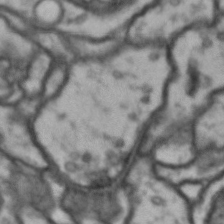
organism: Drosophila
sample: Brain